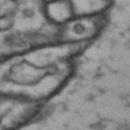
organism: Drosophila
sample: Brain